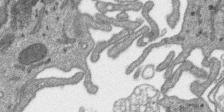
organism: Human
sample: Lung epithelial cells infected with SARS-CoV-2